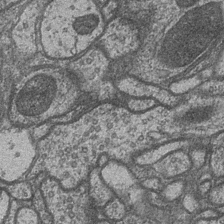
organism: Drosophila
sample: Optic medulla